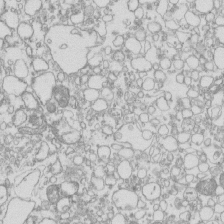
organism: Mouse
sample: Macrophages